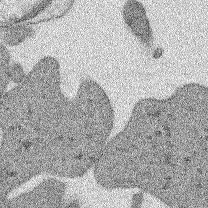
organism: Human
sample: HeLa cells